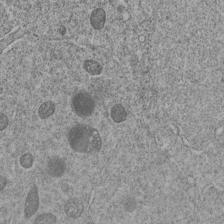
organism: C. elegans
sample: C. elegans embryo early stage